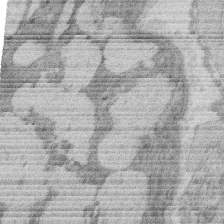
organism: Rat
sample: Salivary granule